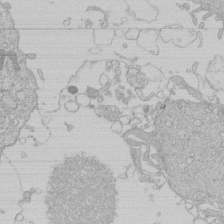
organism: Human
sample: Macrophage cells